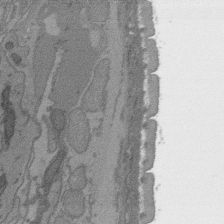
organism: C. elegans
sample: AFD neurons C. elegans